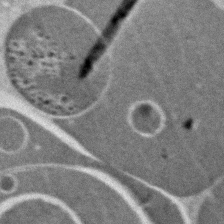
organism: Zebrafish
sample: Zebrafish embryo